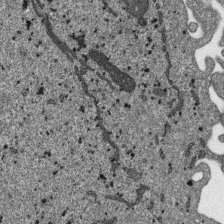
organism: Human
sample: Lung epithelial cells infected with SARS-CoV-2